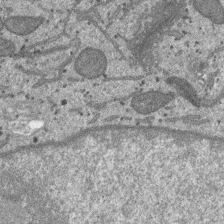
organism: Human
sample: Lung epithelial cells infected with SARS-CoV-2